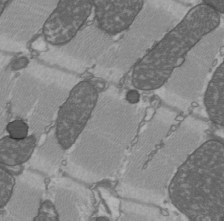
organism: C57BL Mouse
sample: Heart